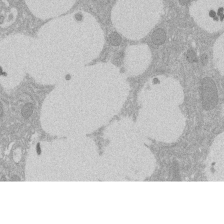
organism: Rat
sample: Salivary granule